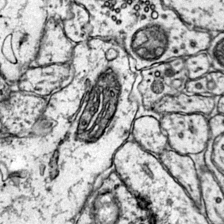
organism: Mouse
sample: Primary visual cortex